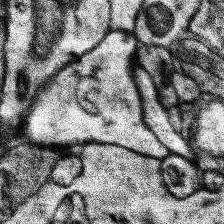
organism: Human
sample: Temporal Lobe